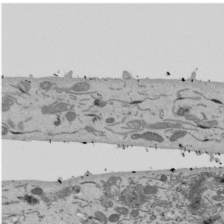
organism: Mouse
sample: ED-1 cell nuclei; centrioles